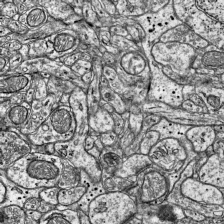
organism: Mouse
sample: Visual Cortex